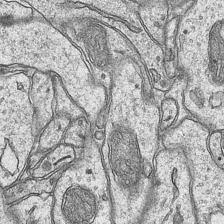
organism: Mouse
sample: CA1 Hippocampus